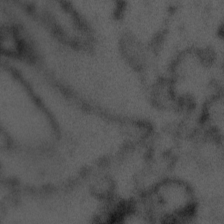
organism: Tuwongella immobilis